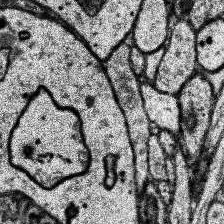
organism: Human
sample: Temporal Lobe